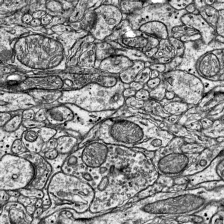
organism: Mouse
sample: Visual Cortex